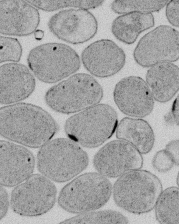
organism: E. coli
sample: Bacterial nucleoid